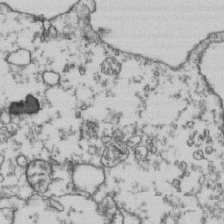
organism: Human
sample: Activated Jurkat CD4+ T cells